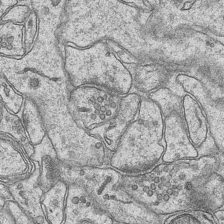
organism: Mouse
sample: CA1 Hippocampus